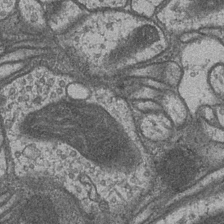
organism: Drosophila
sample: Optic medulla